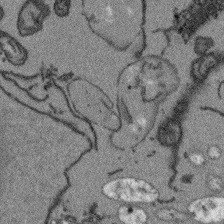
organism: Arabidopsis thaliana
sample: Root tip